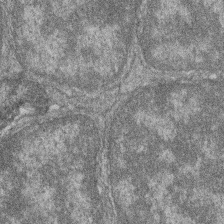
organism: Zebrafish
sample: Cilia; retinal pigment epithelium